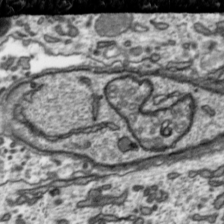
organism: Toxoplasma gondii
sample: Parasites in a vacuole inside a host cell